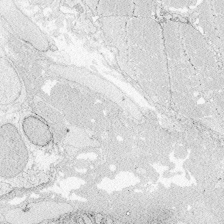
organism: Zebrafish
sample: Whole-Brain